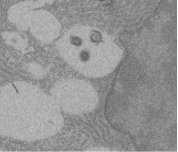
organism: Rat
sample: Salivary granule